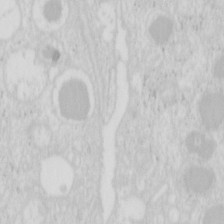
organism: Mouse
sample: Pancreas